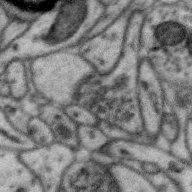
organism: Zebra finch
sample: Brain